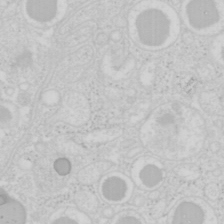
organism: Mouse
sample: Pancreas